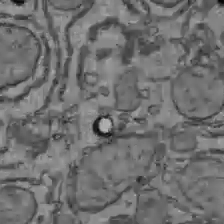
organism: C57BL Mouse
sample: Liver